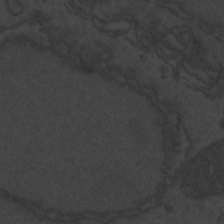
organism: Zebrafish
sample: Macrophage infected with Toxoplasma gondii